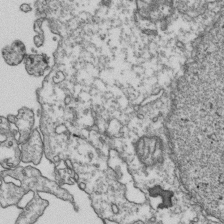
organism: Human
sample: Activated Jurkat CD4+ T cells